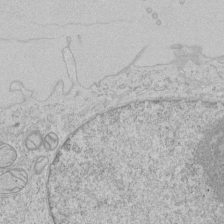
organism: Human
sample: Mitochondria in HCT116 cells